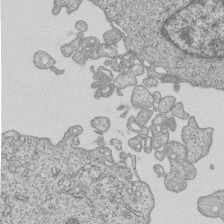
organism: Human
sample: MDA-MB-231 cells